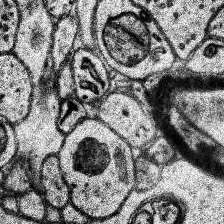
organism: Human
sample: Temporal Lobe